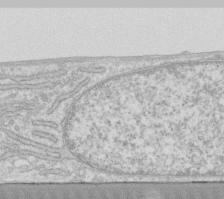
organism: Human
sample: Fibroblast cells